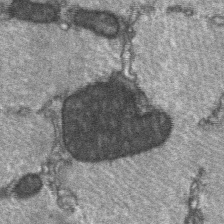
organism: C57BL Mouse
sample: Soleus